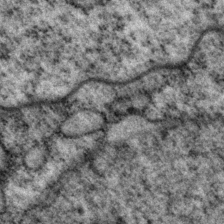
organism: P. pacificus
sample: Pharynx